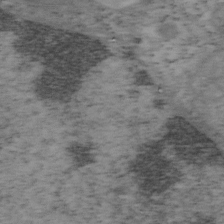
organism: Mouse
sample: OT-I killer T cells with ID8 ovarian cancer cells